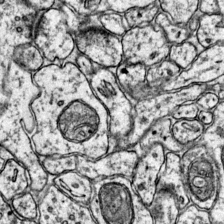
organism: Mouse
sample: Primary visual cortex